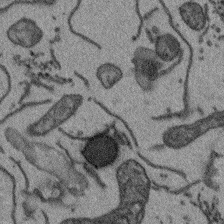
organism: Arabidopsis thaliana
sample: Root tip